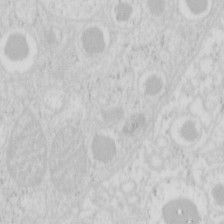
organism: Mouse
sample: Pancreas